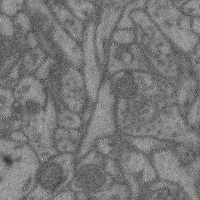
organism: Mouse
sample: Cerebral cortex